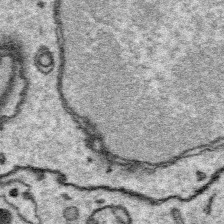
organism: Platynereis dumerilii